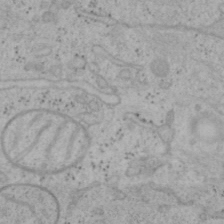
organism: Human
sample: HeLa cells